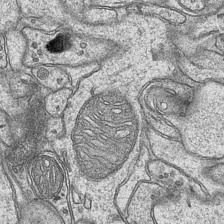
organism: Mouse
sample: CA1 Hippocampus